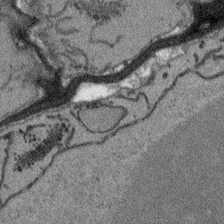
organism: Arabidopsis thaliana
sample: Root tip